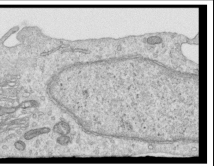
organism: Human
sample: Centriole in RPE cells